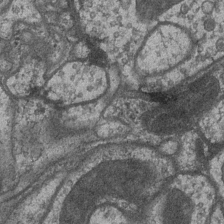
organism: Drosophila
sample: Optic medulla